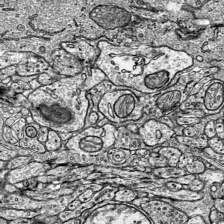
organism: Mouse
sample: Visual Cortex